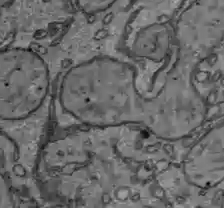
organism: C57BL Mouse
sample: Liver